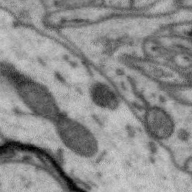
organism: Zebra finch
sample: Brain